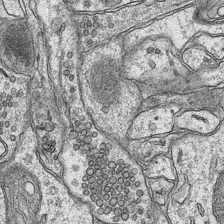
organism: Mouse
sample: CA1 Hippocampus